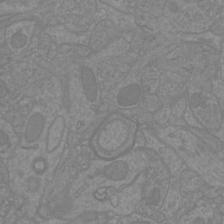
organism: Mouse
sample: Cortical neurons